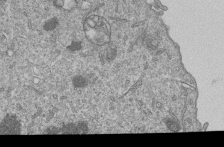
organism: Human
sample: MDA-MB-231 cells